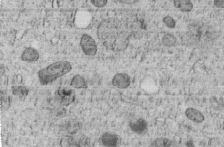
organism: C. elegans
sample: C. elegans embryo early stage